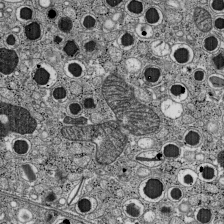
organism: C57BL Mouse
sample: Pancreatic islet